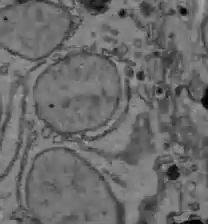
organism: C57BL Mouse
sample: Liver